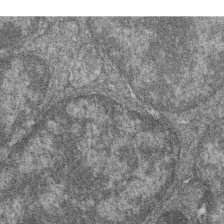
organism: Zebrafish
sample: Cilia; retinal pigment epithelium